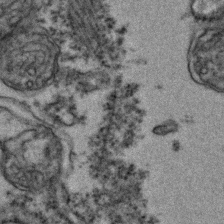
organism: Zebrafish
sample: Zebrafish embryo